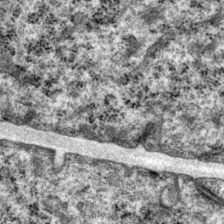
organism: P. pacificus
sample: Pharynx